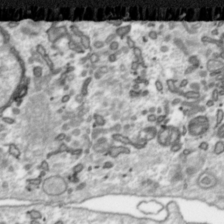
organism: Toxoplasma gondii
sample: Parasites in a vacuole inside a host cell